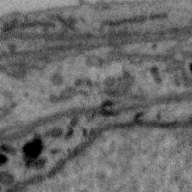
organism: Zebra finch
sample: Brain